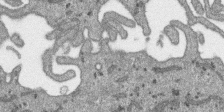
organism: Human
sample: Lung epithelial cells infected with SARS-CoV-2